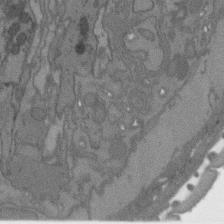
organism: C. elegans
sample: AFD neurons C. elegans